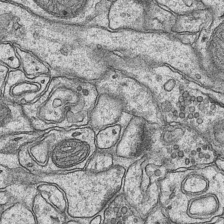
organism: Mouse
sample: CA1 Hippocampus